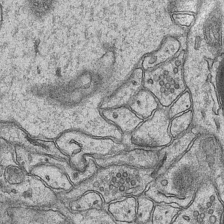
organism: Mouse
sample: CA1 Hippocampus